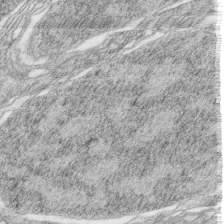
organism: Zebrafish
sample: synaptic ribbons in rod cells and cone cells